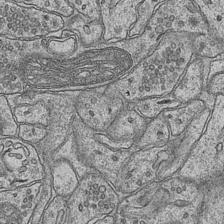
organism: Mouse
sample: CA1 Hippocampus